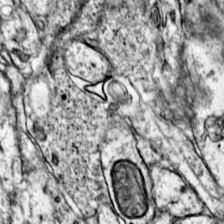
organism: Mouse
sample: Primary visual cortex